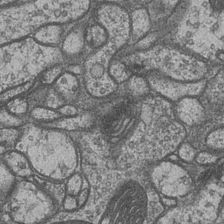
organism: Drosophila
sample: Optic medulla